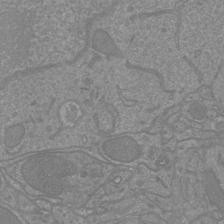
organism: Mouse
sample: Cortical neurons